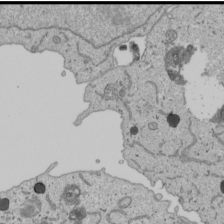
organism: Human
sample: Mitochondria in U2OS cells